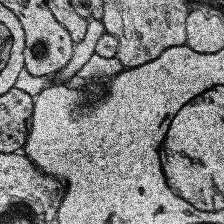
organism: Human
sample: Temporal Lobe